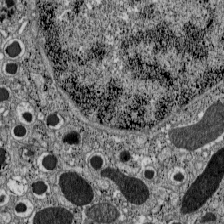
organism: C57BL Mouse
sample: Pancreatic islet